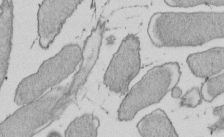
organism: E. coli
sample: Bacterial nucleoid